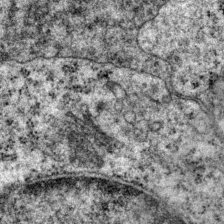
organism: P. pacificus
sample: Pharynx